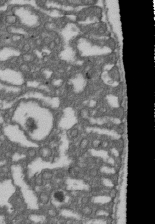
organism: Drosophila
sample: Nephrocyte